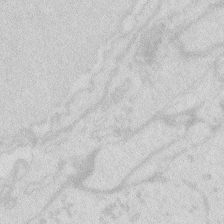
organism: Zebrafish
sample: Macrophage